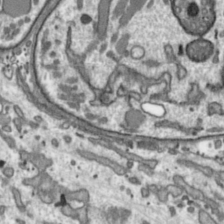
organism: Toxoplasma gondii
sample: Parasites in a vacuole inside a host cell